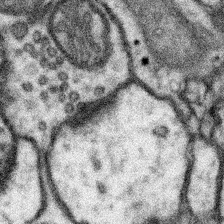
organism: Mouse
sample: Somatosensory cortex neuropil